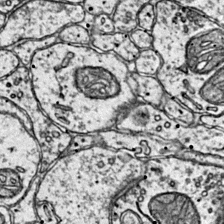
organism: Mouse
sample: Primary visual cortex